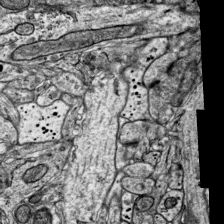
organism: Mouse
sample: Visual Cortex